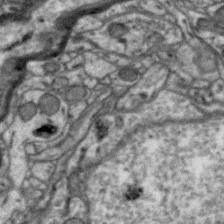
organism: Zebra finch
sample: Brain